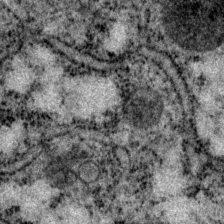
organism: P. pacificus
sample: Pharynx